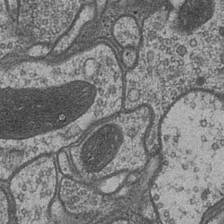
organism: Drosophila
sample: Optic medulla